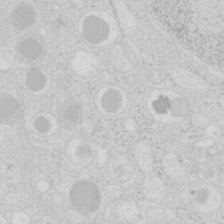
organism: Mouse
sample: Pancreas